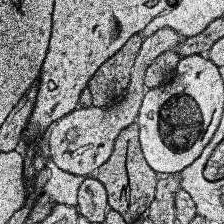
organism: Human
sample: Temporal Lobe